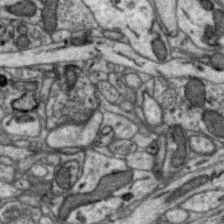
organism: Zebra finch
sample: Brain